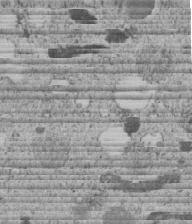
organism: C. elegans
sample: C. elegans embryo early stage